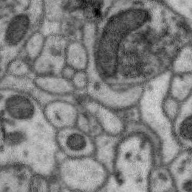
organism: Zebra finch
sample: Brain